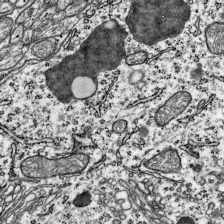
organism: Mouse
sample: Visual Cortex